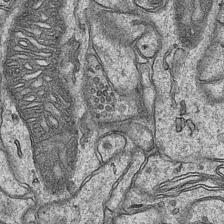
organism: Mouse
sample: CA1 Hippocampus